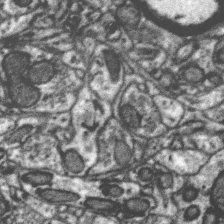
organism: Zebra finch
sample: Brain